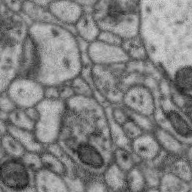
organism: Zebra finch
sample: Brain